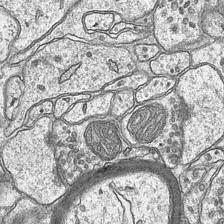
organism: Mouse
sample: CA1 Hippocampus